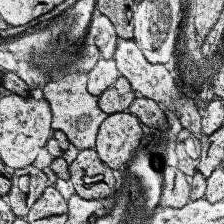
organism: Human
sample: Temporal Lobe